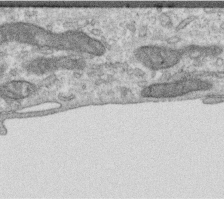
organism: Human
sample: Centriole in RPE cells